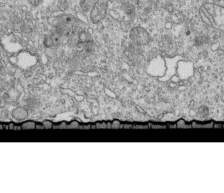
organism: Human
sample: HeLa cell HIV synapse